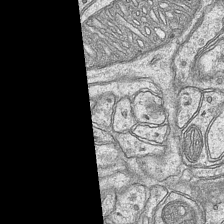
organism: Mouse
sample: CA1 Hippocampus